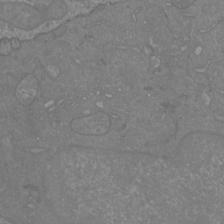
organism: Mouse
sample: Cortical neurons